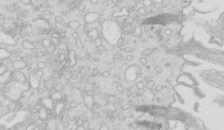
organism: Mouse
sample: Multiciliated cells